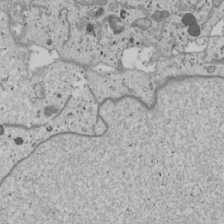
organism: Human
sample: Mitochondria in U2OS cells